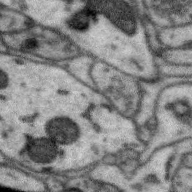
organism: Zebra finch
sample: Brain